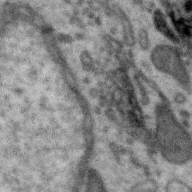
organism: Zebra finch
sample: Brain